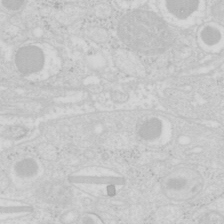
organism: Mouse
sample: Pancreas